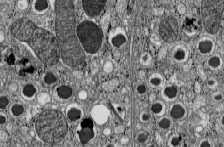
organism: C57BL Mouse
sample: Pancreatic islet